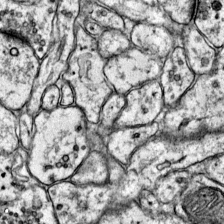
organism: Mouse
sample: Primary visual cortex